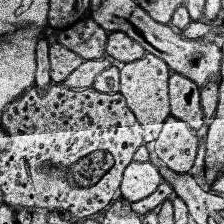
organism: Human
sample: Temporal Lobe